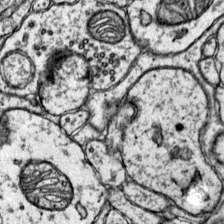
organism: Mouse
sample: Primary visual cortex